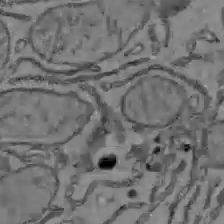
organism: C57BL Mouse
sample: Liver